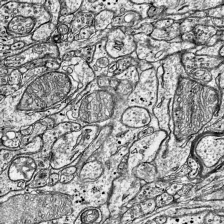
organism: Mouse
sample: Visual Cortex